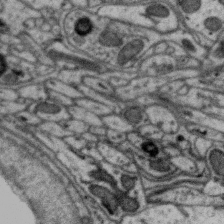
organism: Zebra finch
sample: Brain